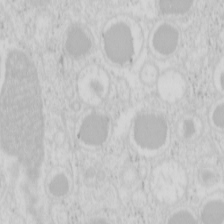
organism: Mouse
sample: Pancreas